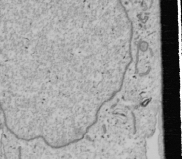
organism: Human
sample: Mitochondria in U2OS cells